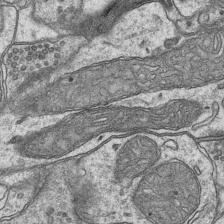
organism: Mouse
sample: CA1 Hippocampus